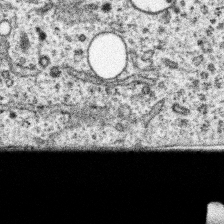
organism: Human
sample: HeLa cells